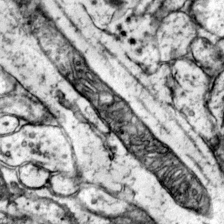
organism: Mouse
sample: Primary visual cortex